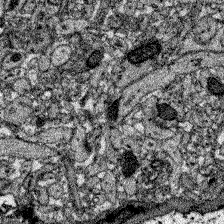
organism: Zebrafish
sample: Larval olfactory bulb